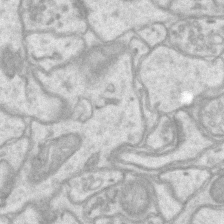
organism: Mouse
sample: CA1 Hippocampus